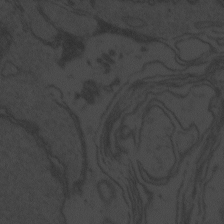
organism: Zebrafish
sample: Macrophage infected with Toxoplasma gondii